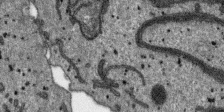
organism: Human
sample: Lung epithelial cells, uninfected (mock) control